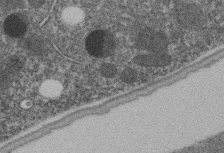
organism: C. elegans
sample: C. elegans embryo early stage